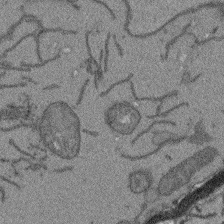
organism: Arabidopsis thaliana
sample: Root tip